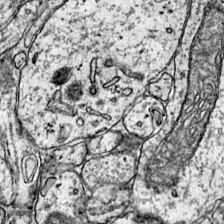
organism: Mouse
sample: Primary visual cortex